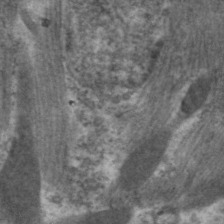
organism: C. elegans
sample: Pharynx